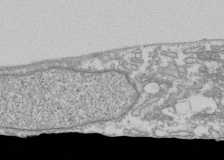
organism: Human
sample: Fibroblast cells